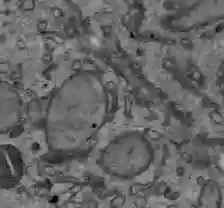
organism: C57BL Mouse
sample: Liver